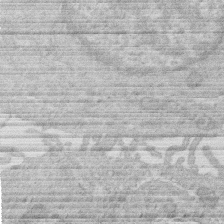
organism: Human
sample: Macrophage cells